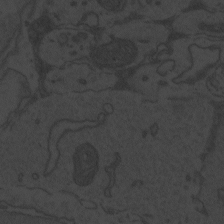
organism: Zebrafish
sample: Macrophage infected with Toxoplasma gondii